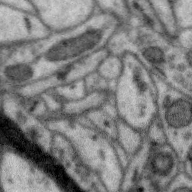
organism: Zebra finch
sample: Brain